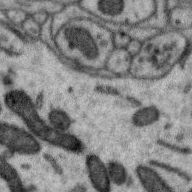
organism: Zebra finch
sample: Brain